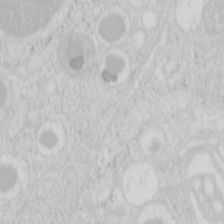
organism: Mouse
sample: Pancreas